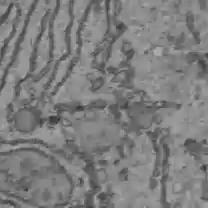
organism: C57BL Mouse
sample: Liver